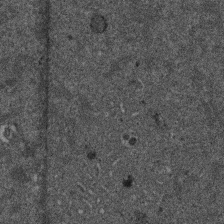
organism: Mouse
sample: Dividing mouse embryo 1 cell stage